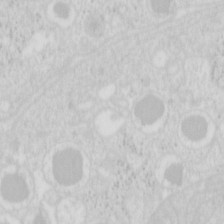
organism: Mouse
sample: Pancreas